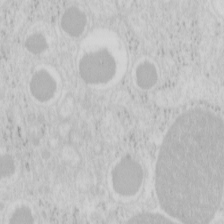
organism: Mouse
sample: Pancreas